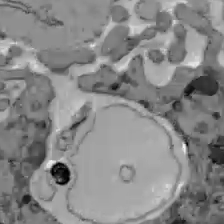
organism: C57BL Mouse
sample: Liver